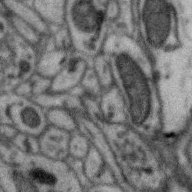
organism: Zebra finch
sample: Brain